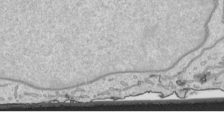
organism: Human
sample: Mitochondria in HCT116 cells